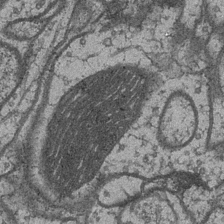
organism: Drosophila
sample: Optic medulla